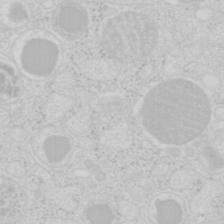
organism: Mouse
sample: Pancreas